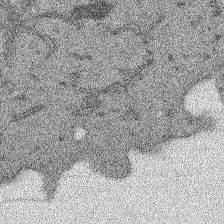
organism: Human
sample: HeLa cells